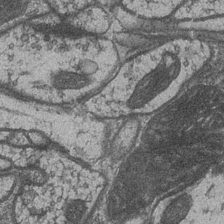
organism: Drosophila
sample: Optic medulla